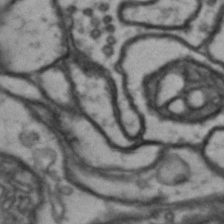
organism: Drosophila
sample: Brain